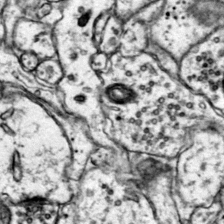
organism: Mouse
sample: Primary visual cortex